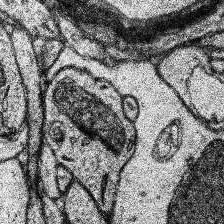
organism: Human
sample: Temporal Lobe